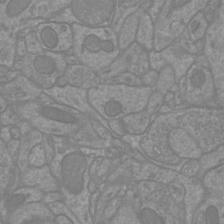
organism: Mouse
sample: Cortical neurons